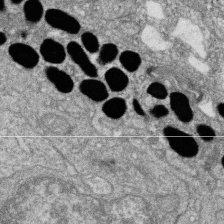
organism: Zebrafish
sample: Cilia; retinal pigment epithelium